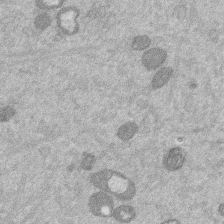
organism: Mouse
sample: Dividing mouse embryo 1 cell stage